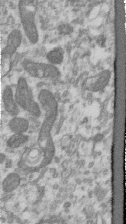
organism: Human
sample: Centriole in RPE cells